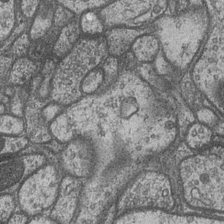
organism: Drosophila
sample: Optic medulla